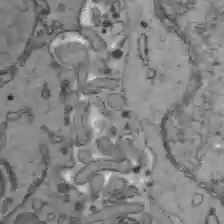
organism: C57BL Mouse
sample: Liver